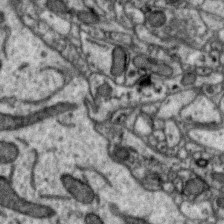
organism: Zebra finch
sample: Brain